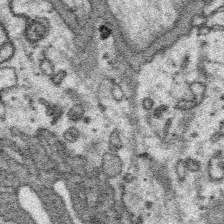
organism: Platynereis dumerilii